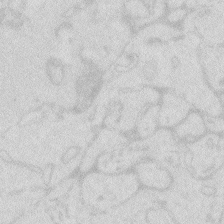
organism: Zebrafish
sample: Macrophage